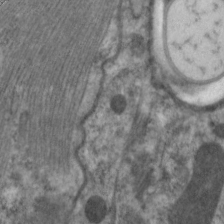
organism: C. elegans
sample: Pharynx